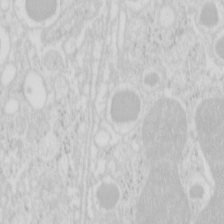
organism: Mouse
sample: Pancreas